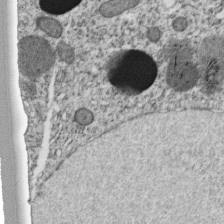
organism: C. elegans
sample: C. elegans embryo early stage